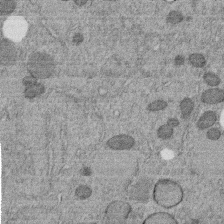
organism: C. elegans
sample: C. elegans embryo early stage